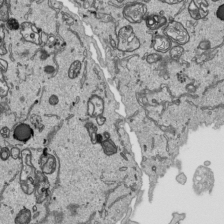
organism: Human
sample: Mitochondria in HCT116 cells